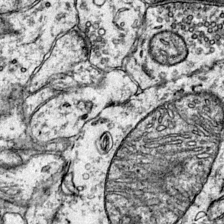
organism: Mouse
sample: Primary visual cortex